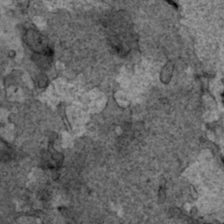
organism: Human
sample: Mitochondria in HCT116 cells